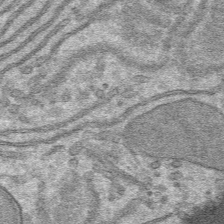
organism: Mouse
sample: Mouse hepatocytes